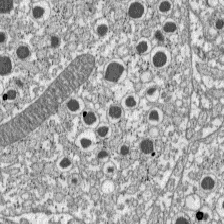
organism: C57BL Mouse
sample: Pancreatic islet